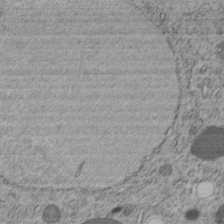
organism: C. elegans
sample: C. elegans embryo early stage